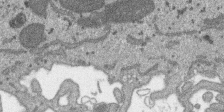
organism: Human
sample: Lung epithelial cells infected with SARS-CoV-2